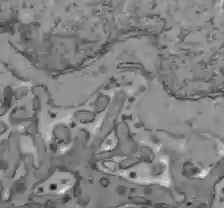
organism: C57BL Mouse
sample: Liver